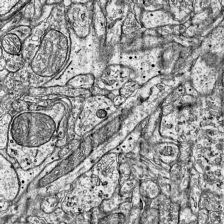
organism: Mouse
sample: Visual Cortex